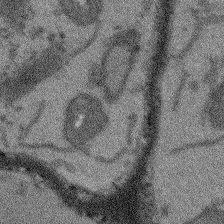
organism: Arabidopsis thaliana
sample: Root tip